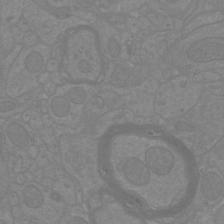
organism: Mouse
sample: Cortical neurons